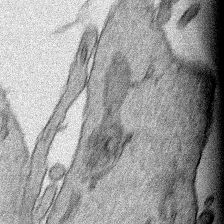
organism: Human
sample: Mitochondria in HCT116 cells